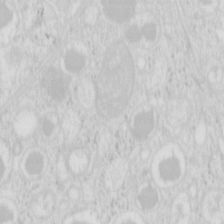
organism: Mouse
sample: Pancreas